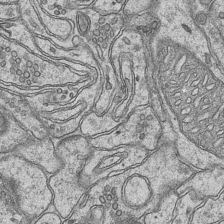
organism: Mouse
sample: CA1 Hippocampus